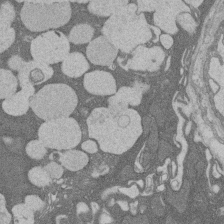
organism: Rat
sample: Salivary granule